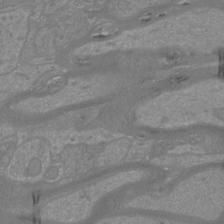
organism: Mouse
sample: Cortical neurons